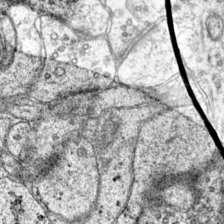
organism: Mouse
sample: Primary visual cortex